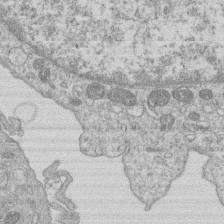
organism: Human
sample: Macrophage cells